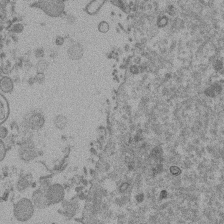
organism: Mouse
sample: Dividing mouse embryo 1 cell stage